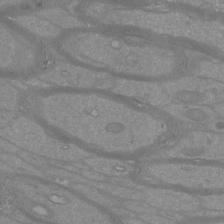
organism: Mouse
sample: Cortical neurons